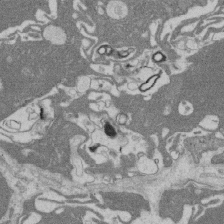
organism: Rat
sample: Salivary granule